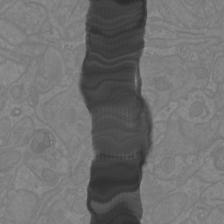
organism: Mouse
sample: Cortical neurons